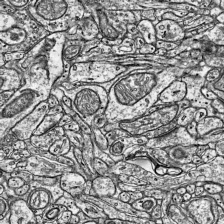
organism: Mouse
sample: Visual Cortex